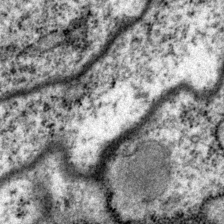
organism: P. pacificus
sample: Pharynx